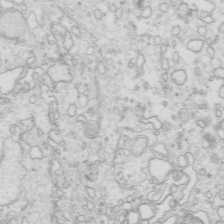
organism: Mouse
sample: Multiciliated cells